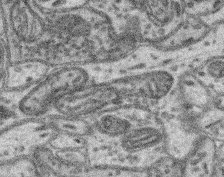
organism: Mouse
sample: Retina